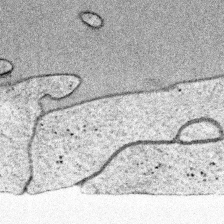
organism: Human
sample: HeLa cells